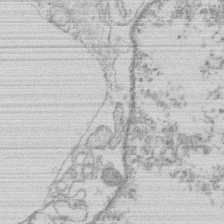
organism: Human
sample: Macrophage cells